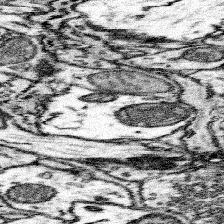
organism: Mouse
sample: Somatosensory cortex neuropil